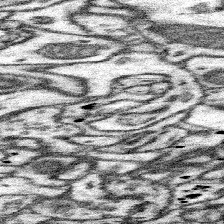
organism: Mouse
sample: Somatosensory cortex neuropil